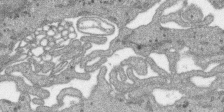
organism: Human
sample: Lung epithelial cells infected with SARS-CoV-2